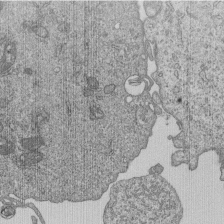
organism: Human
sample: MDA-MB-231 cells